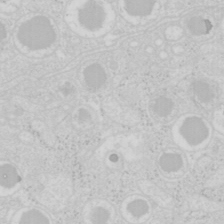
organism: Mouse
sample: Pancreas